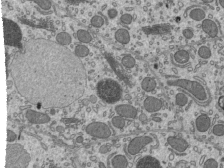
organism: Mouse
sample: Mouse epididymis efferent ductule cilia